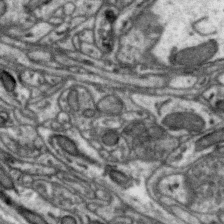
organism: Zebra finch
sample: Brain